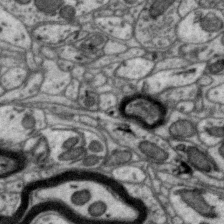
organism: Zebra finch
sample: Brain